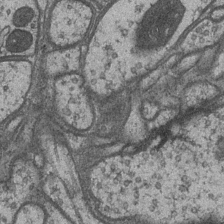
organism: Drosophila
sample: Optic medulla